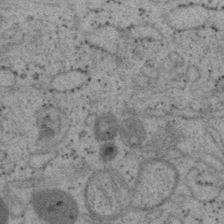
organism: Human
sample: HeLa cells